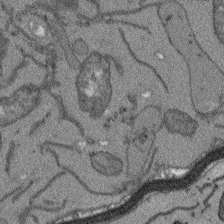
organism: Arabidopsis thaliana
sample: Root tip